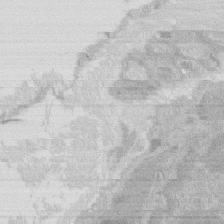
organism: Rat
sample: Salivary granule